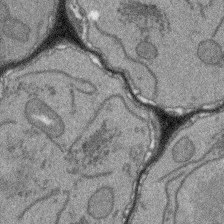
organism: Arabidopsis thaliana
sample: Root tip